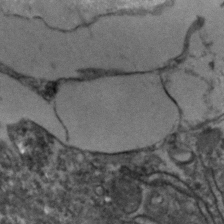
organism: Zebrafish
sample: Zebrafish embryo